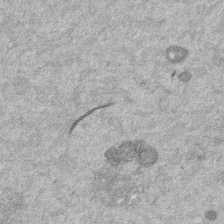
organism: Mouse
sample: Dividing mouse embryo 1 cell stage